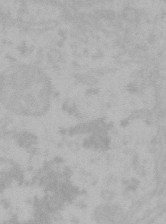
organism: Mouse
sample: Choroid plexus